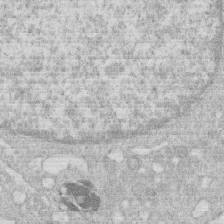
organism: Human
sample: Macrophage cells